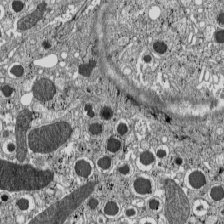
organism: C57BL Mouse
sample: Pancreatic islet